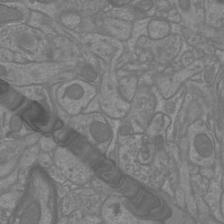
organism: Mouse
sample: Cortical neurons